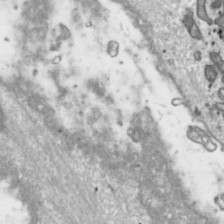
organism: Toxoplasma gondii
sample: Parasites in a vacuole inside a host cell